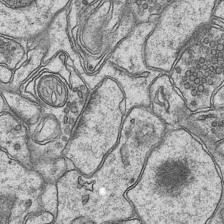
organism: Mouse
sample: CA1 Hippocampus